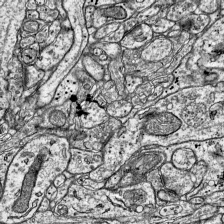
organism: Mouse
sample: Visual Cortex